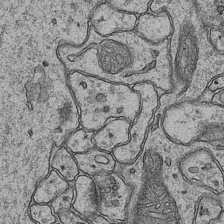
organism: Mouse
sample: CA1 Hippocampus